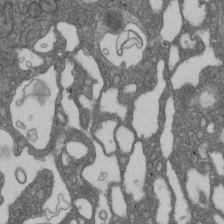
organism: Drosophila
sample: Nephrocyte